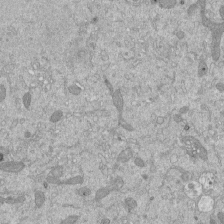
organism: Mouse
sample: ED-1 cell nuclei; centrioles